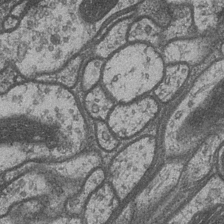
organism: Drosophila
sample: Optic medulla